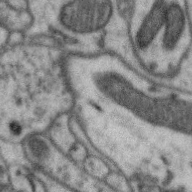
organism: Zebra finch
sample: Brain